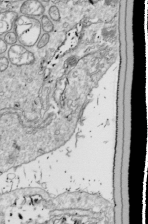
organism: Drosophila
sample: Cell division; meiosis; drosophila spermatocytes